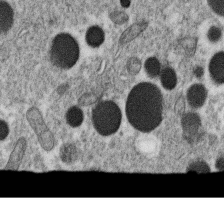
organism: C. elegans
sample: C. elegans oocyte; sperm cells